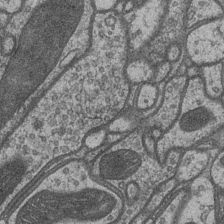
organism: Drosophila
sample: Optic medulla